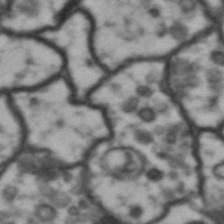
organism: Drosophila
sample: Brain